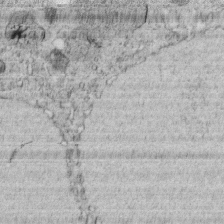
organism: C. elegans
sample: C. elegans embryo early stage